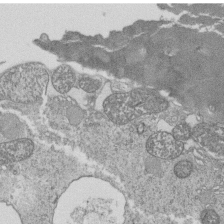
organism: Tetrahymena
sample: Cilia in tetrahymena